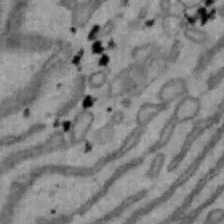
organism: Mouse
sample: Liver